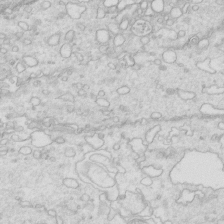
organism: Mouse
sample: Multiciliated cells